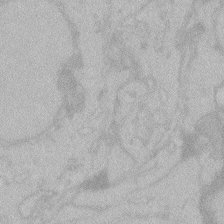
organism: Zebrafish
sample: Macrophage infected with Toxoplasma gondii